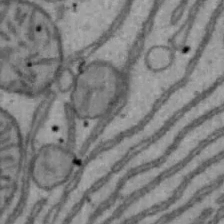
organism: Mouse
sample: Liver